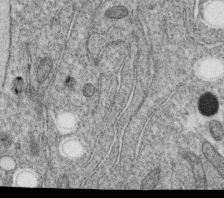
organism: C. elegans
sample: C. elegans oocyte; sperm cells